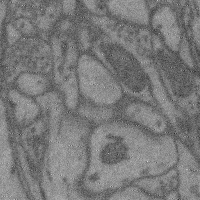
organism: Mouse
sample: Cerebral cortex